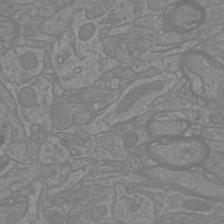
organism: Mouse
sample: Cortical neurons